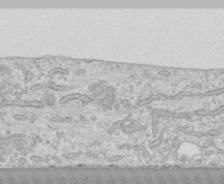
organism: Human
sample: CRL-1474